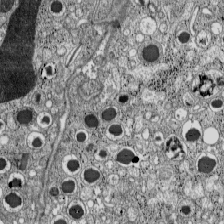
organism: C57BL Mouse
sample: Pancreatic islet